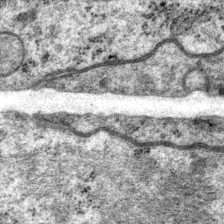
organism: P. pacificus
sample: Pharynx